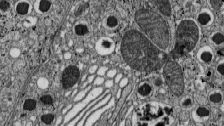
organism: C57BL Mouse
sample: Pancreatic islet